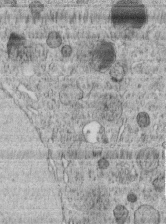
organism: C. elegans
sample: C. elegans embryo early stage